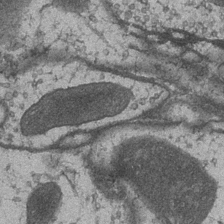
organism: Drosophila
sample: Optic medulla